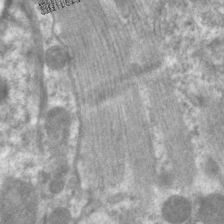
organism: C. elegans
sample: Pharynx